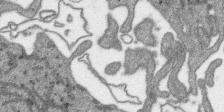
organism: Human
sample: Lung epithelial cells infected with SARS-CoV-2